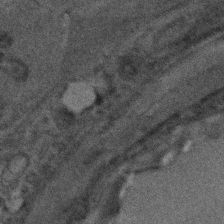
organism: C. elegans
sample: C. elegans embryo